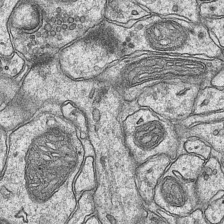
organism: Mouse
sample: CA1 Hippocampus